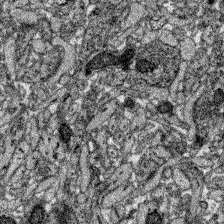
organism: Zebrafish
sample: Larval olfactory bulb